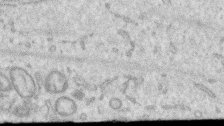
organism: Human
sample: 1205lu cells